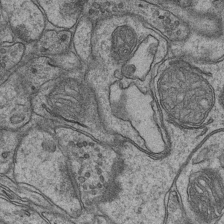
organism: Mouse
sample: CA1 Hippocampus